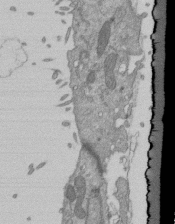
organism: Mouse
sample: ED-1 cell nuclei; centrioles